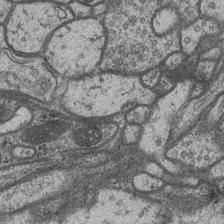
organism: Drosophila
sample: Optic medulla